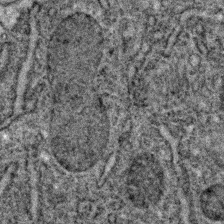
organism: C. elegans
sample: C. elegans embryo